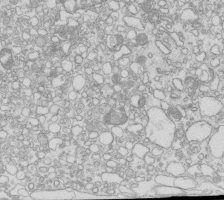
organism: Mouse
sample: Macrophages